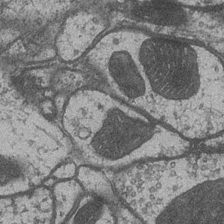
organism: Drosophila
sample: Optic medulla